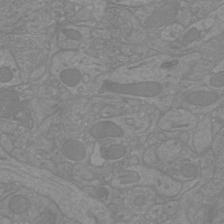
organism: Mouse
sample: Cortical neurons